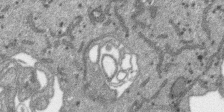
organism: Human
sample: Lung epithelial cells infected with SARS-CoV-2